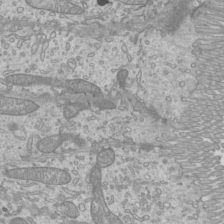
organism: Mouse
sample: Cilia; mouse epididymis